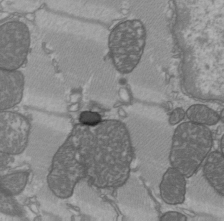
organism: C57BL Mouse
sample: Heart